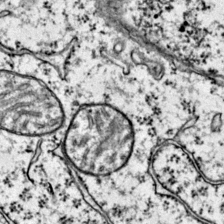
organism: Mouse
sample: Primary visual cortex